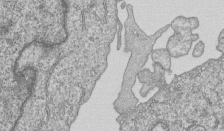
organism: Human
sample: MDA-MB-231 cells